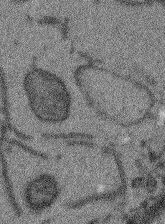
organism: Arabidopsis thaliana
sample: Root tip